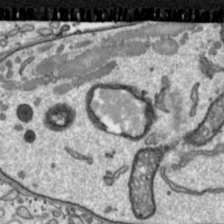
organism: Toxoplasma gondii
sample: Parasites in a vacuole inside a host cell